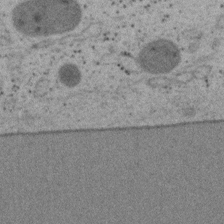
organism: Human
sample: HeLa cells